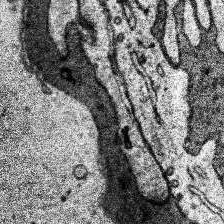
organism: Human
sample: Temporal Lobe